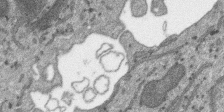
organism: Human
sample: Lung epithelial cells infected with SARS-CoV-2